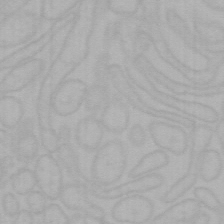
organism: Mouse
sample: Choroid plexus